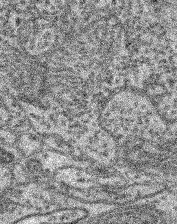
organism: Mouse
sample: Retina